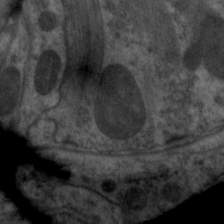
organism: C. elegans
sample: Pharynx